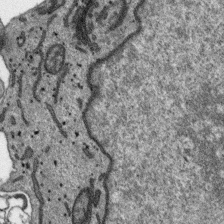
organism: Human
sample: Lung epithelial cells, uninfected (mock) control